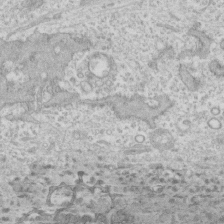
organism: Human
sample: CRL-1474